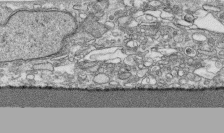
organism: Human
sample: CRL-1474